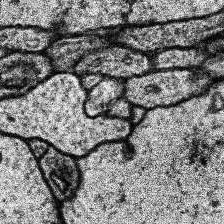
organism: Human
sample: Temporal Lobe